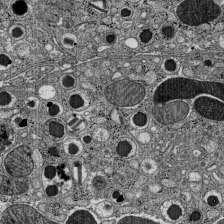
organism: C57BL Mouse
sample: Pancreatic islet